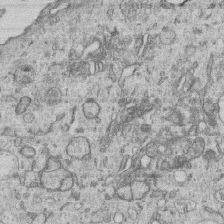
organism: Human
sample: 1205lu cells